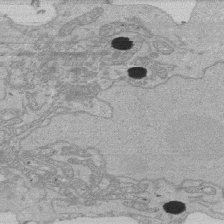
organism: Human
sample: Activated Jurkat CD4+ T cells